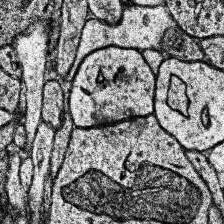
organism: Human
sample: Temporal Lobe